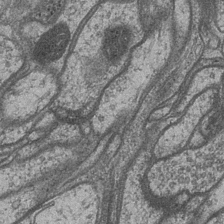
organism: Drosophila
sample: Optic medulla